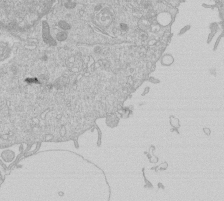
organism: Human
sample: Macrophage cells